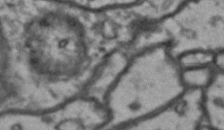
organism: Drosophila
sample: Brain